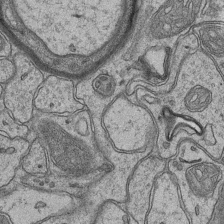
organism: Mouse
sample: CA1 Hippocampus